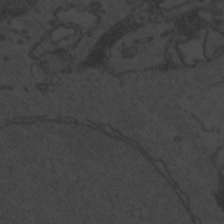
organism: Zebrafish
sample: Macrophage infected with Toxoplasma gondii